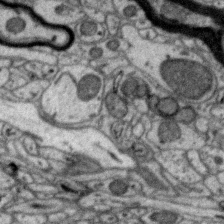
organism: Zebra finch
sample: Brain